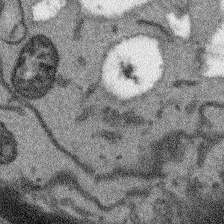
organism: Arabidopsis thaliana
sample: Root tip